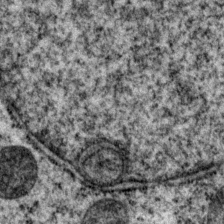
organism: P. pacificus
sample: Pharynx